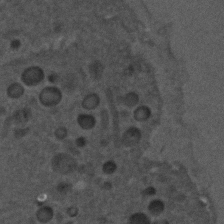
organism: C. elegans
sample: C. elegans embryo